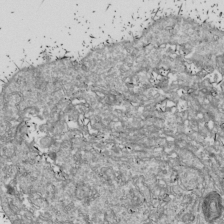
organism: Drosophila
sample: Cell division; meiosis; drosophila spermatocytes